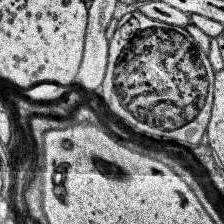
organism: Human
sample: Temporal Lobe